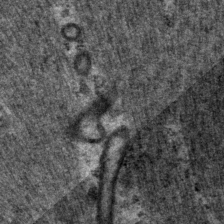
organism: P. pacificus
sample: Pharynx